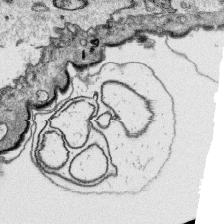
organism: Platynereis dumerilii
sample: Parapodia